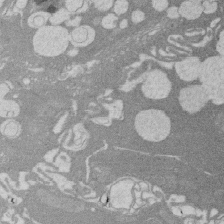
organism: Rat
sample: Salivary granule